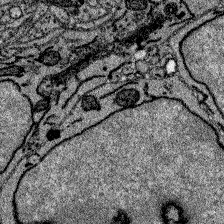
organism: Zebrafish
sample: Larval olfactory bulb